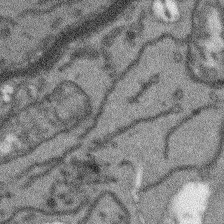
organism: Arabidopsis thaliana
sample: Root tip